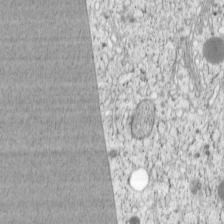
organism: African green monkey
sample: COS-7 cells